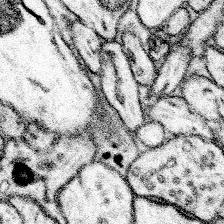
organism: Mouse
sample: Somatosensory cortex neuropil